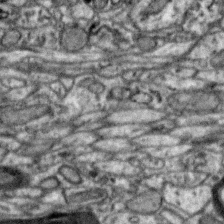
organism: Zebra finch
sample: Brain